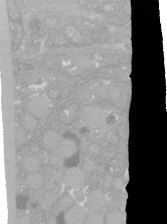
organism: C. elegans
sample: C. elegans oocyte; sperm cells